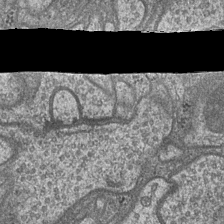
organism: Drosophila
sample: Optic medulla